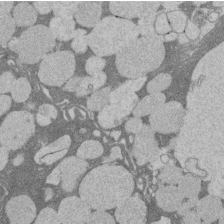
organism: Rat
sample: Salivary granule